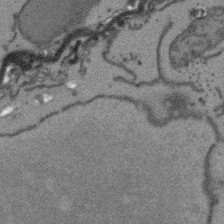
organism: Arabidopsis thaliana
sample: Root tip